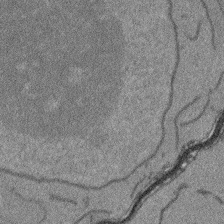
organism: Arabidopsis thaliana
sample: Root tip